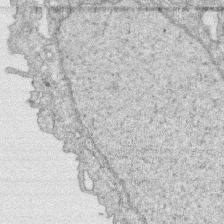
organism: Human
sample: HeLa cell HIV synapse